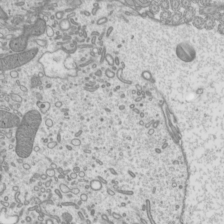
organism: Mouse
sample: Cilia; mouse epididymis